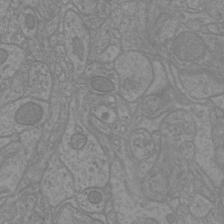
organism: Mouse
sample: Cortical neurons